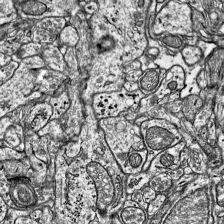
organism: Mouse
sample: Visual Cortex